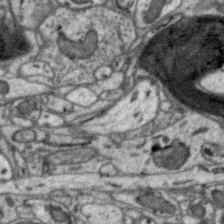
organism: Zebra finch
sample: Brain